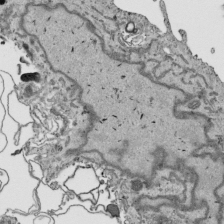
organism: Human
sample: Mitochondria in HCT116 cells